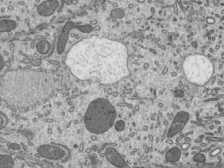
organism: Mouse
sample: Mouse epididymis efferent ductule cilia